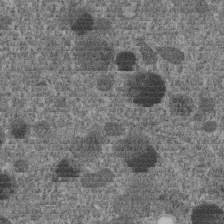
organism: C. elegans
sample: C. elegans embryo early stage